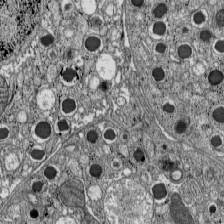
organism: C57BL Mouse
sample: Pancreatic islet